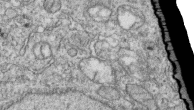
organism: Human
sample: HeLa cell HIV synapse